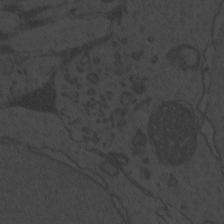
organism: Zebrafish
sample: Macrophage infected with Toxoplasma gondii